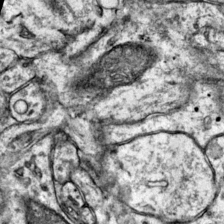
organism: Mouse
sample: Primary visual cortex